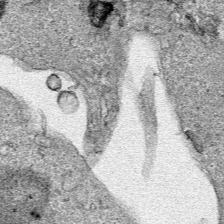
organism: Human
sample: Mitochondria in HCT116 cells